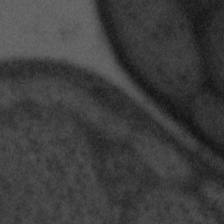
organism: Tuwongella immobilis